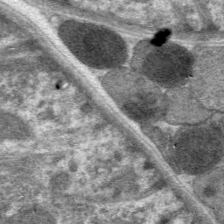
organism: C. elegans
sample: Pharynx